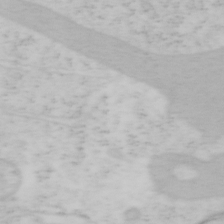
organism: Mouse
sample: OT-I killer T cells with ID8 ovarian cancer cells